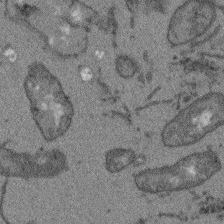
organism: Arabidopsis thaliana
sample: Root tip